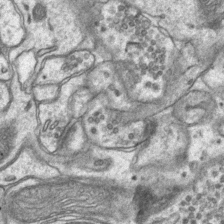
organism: Mouse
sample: CA1 Hippocampus